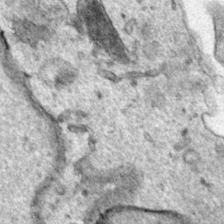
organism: Human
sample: Mitochondria in HCT116 cells